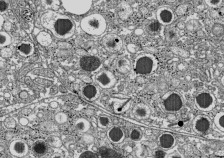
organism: C57BL Mouse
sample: Pancreatic islet